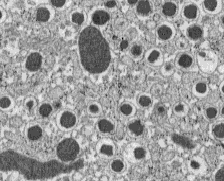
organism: C57BL Mouse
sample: Pancreatic islet